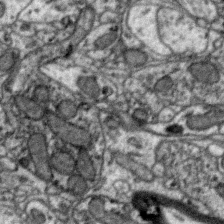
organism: Zebra finch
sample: Brain